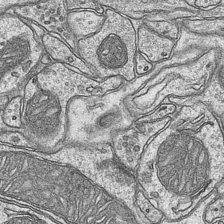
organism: Mouse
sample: CA1 Hippocampus